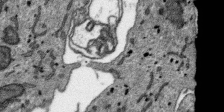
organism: Human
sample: Lung epithelial cells, uninfected (mock) control